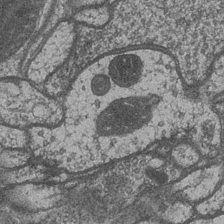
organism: Drosophila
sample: Optic medulla